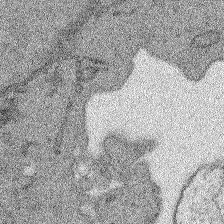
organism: Human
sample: HeLa cells